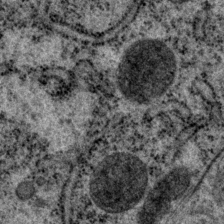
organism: P. pacificus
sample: Pharynx